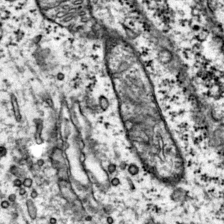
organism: Mouse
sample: Primary visual cortex